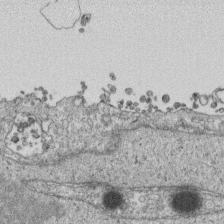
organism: Human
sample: HeLa cell HIV synapse